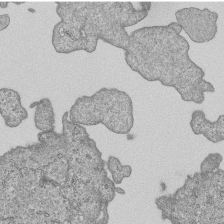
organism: Human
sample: MDA-MB-231 cells